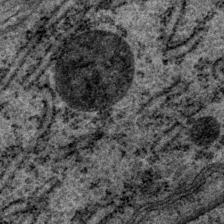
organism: P. pacificus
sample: Pharynx